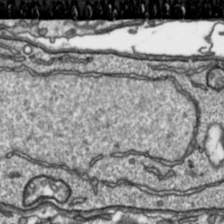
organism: Toxoplasma gondii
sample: Parasites in a vacuole inside a host cell